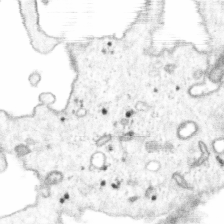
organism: Human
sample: HeLa cells